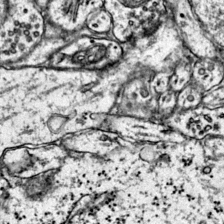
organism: Mouse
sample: Primary visual cortex